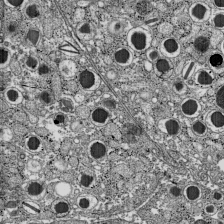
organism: C57BL Mouse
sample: Pancreatic islet